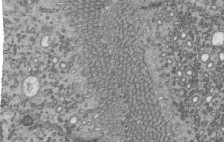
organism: Mouse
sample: Mouse epididymis efferent ductule cilia